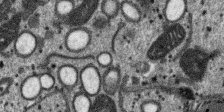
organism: Human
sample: Lung epithelial cells infected with SARS-CoV-2